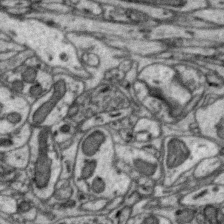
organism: Zebra finch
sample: Brain